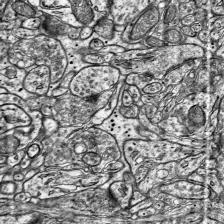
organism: Mouse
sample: Visual Cortex